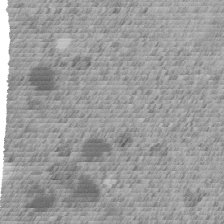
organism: C. elegans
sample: C. elegans embryo early stage